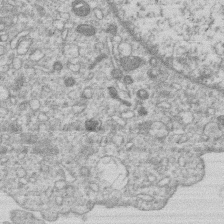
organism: Human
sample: Macrophage cells